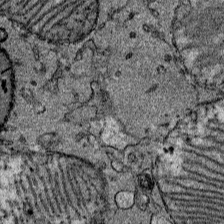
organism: Mouse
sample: Mouse Salivary gland